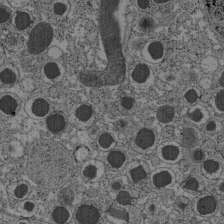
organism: C57BL Mouse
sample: Pancreatic islet